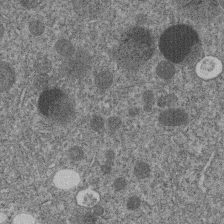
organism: C. elegans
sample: C. elegans embryo early stage